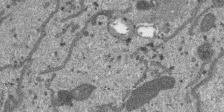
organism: Human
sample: Lung epithelial cells infected with SARS-CoV-2